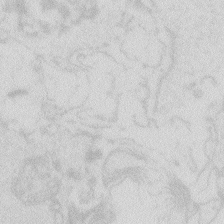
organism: Zebrafish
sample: Macrophage